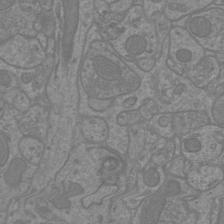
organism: Mouse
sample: Cortical neurons